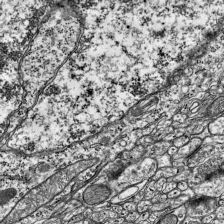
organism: Mouse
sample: Visual Cortex